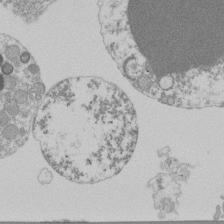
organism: Mouse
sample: Activated Pmel transgenic CD8+ T Cells